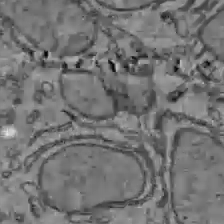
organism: C57BL Mouse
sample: Liver